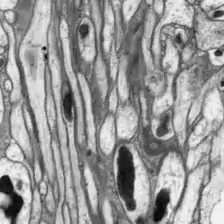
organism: Drosophila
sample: Optic lobe